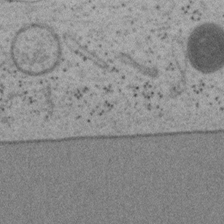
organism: Human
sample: HeLa cells